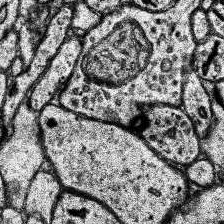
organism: Human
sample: Temporal Lobe